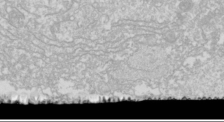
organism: Drosophila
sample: Cell division; meiosis; drosophila spermatocytes